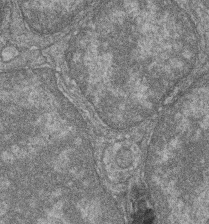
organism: Zebrafish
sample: Cilia; retinal pigment epithelium